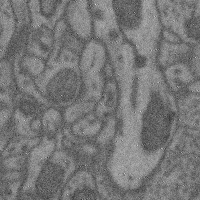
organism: Mouse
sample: Cerebral cortex